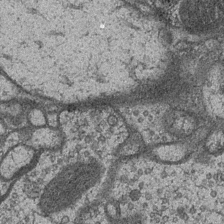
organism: Drosophila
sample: Optic medulla